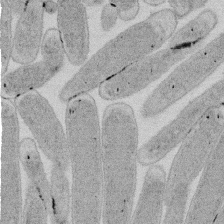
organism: E. coli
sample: Bacterial nucleoid